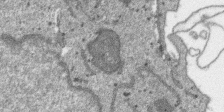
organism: Human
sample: Lung epithelial cells infected with SARS-CoV-2